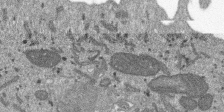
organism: Human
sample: Lung epithelial cells infected with SARS-CoV-2